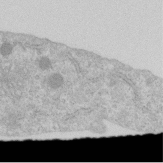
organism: Human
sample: Centriole in RPE cells